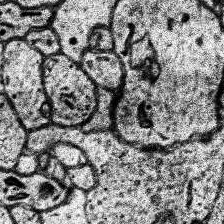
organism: Human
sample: Temporal Lobe